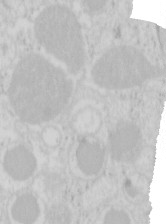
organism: Mouse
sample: Pancreas